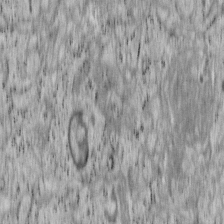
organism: Human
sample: HeLa cells